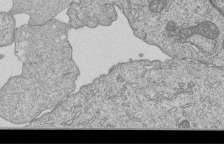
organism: Human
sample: MDA-MB-231 cells